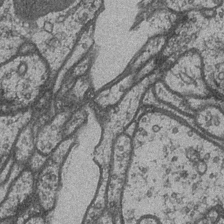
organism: Drosophila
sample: Optic medulla